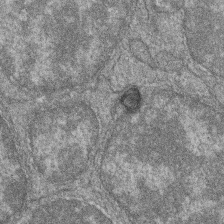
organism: Zebrafish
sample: Cilia; retinal pigment epithelium